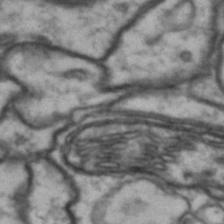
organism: Drosophila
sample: Brain